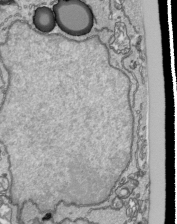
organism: Human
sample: Mitochondria in HCT116 cells